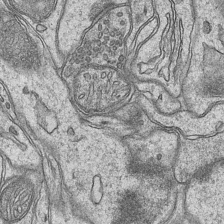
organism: Mouse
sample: CA1 Hippocampus